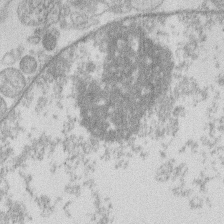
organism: Human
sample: Macrophage cells